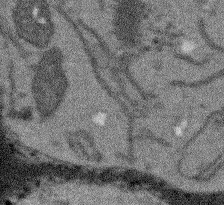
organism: Arabidopsis thaliana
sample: Root tip